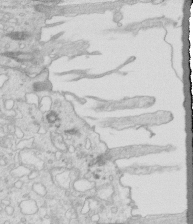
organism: Mouse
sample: Multiciliated cells